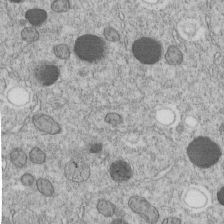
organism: C. elegans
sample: C. elegans embryo early stage